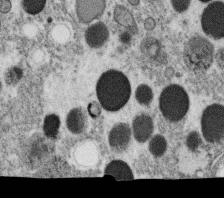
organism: C. elegans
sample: C. elegans oocyte; sperm cells